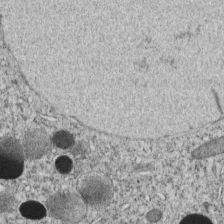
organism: C. elegans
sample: C. elegans embryo early stage